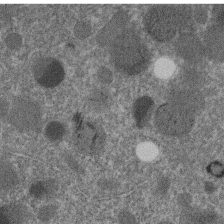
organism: C. elegans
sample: C. elegans embryo early stage